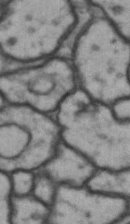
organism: Drosophila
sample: Brain